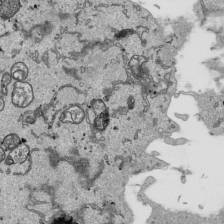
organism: Human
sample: Mitochondria in HCT116 cells